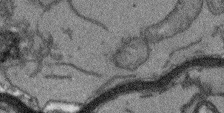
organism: Arabidopsis thaliana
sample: Root tip